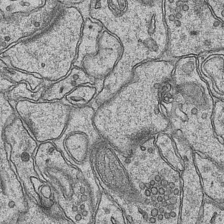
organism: Mouse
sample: CA1 Hippocampus